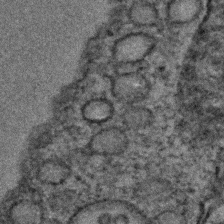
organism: C. elegans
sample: C. elegans embryo